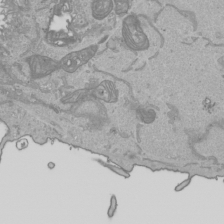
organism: Human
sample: Mitochondria in HCT116 cells